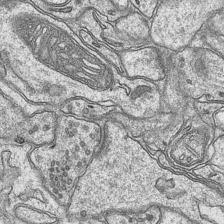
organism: Mouse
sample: CA1 Hippocampus